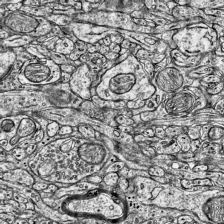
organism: Mouse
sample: Visual Cortex